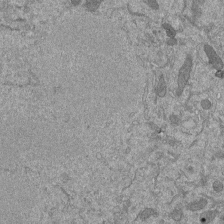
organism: Mouse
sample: ED-1 cell nuclei; centrioles